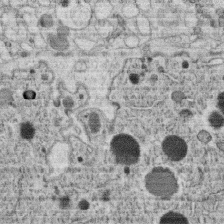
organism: C. elegans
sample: C. elegans oocyte; sperm cells